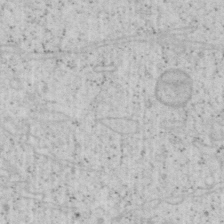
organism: Human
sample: HeLa cells